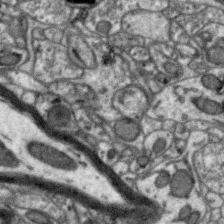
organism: Zebra finch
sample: Brain